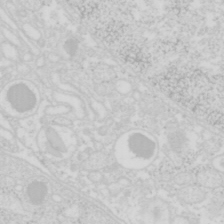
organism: Mouse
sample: Pancreas